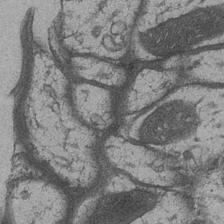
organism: Drosophila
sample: Optic medulla